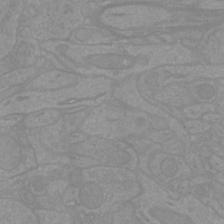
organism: Mouse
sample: Cortical neurons